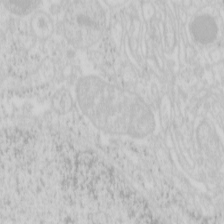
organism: Mouse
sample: Pancreas